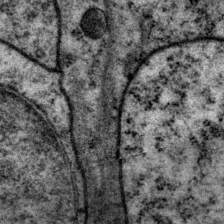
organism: P. pacificus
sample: Pharynx